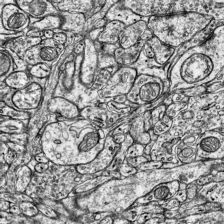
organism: Mouse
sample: Visual Cortex